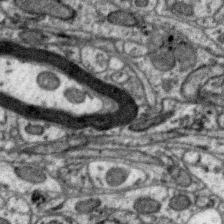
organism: Zebra finch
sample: Brain